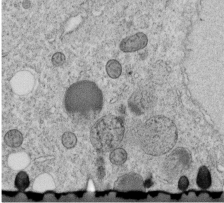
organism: C. elegans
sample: C. elegans embryo early stage